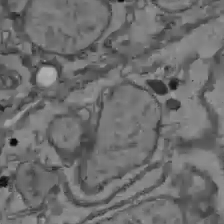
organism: C57BL Mouse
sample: Liver